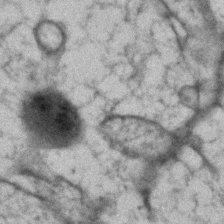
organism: Human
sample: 1205lu cells